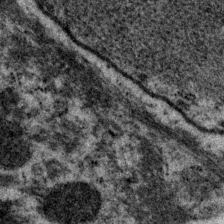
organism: P. pacificus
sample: Pharynx